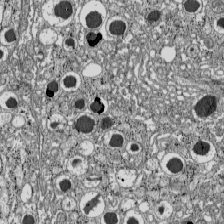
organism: C57BL Mouse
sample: Pancreatic islet